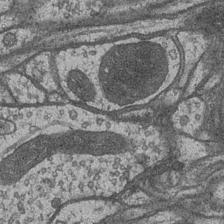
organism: Drosophila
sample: Optic medulla